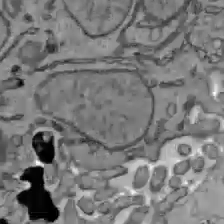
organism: C57BL Mouse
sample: Liver